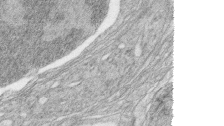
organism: Zebrafish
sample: synaptic ribbons in rod cells and cone cells